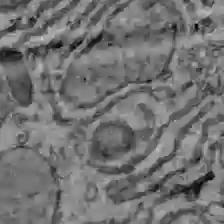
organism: C57BL Mouse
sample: Liver